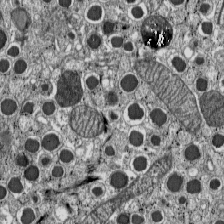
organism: C57BL Mouse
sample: Pancreatic islet